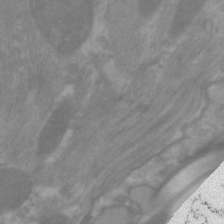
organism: C. elegans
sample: Pharynx